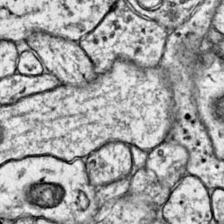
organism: Mouse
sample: Primary visual cortex